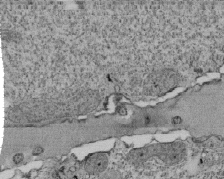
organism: Tetrahymena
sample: Cilia in tetrahymena